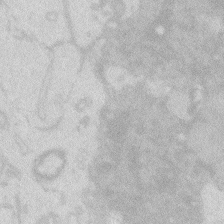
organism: Zebrafish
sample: Macrophage